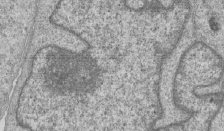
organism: Human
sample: MDA-MB-231 cells